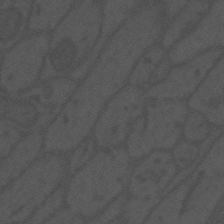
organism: Mouse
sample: Suprachiasmatic nucleus